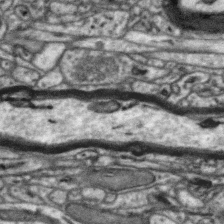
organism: Zebra finch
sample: Brain